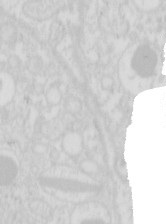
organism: Mouse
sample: Pancreas